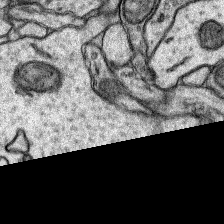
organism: Rat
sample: Hippocampus